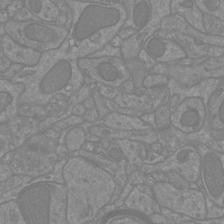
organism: Mouse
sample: Cortical neurons